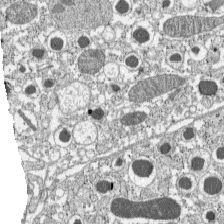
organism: C57BL Mouse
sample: Pancreatic islet